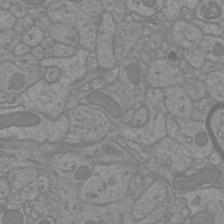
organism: Mouse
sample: Cortical neurons